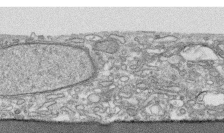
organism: Human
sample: CRL-1474